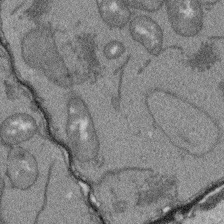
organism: Arabidopsis thaliana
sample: Root tip